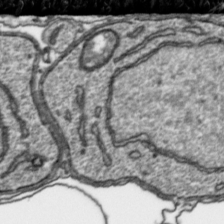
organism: Toxoplasma gondii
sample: Parasites in a vacuole inside a host cell